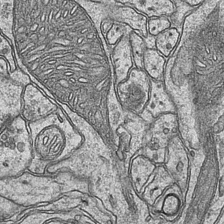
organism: Mouse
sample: CA1 Hippocampus